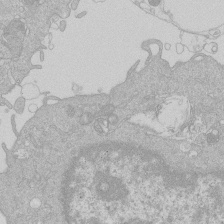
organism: Human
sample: Macrophage cells